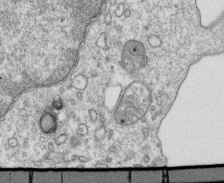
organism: Mouse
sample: Activated OT-1 CD8+ T cells